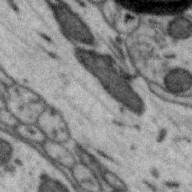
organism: Zebra finch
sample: Brain